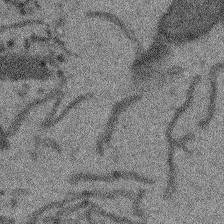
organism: Arabidopsis thaliana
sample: Root tip